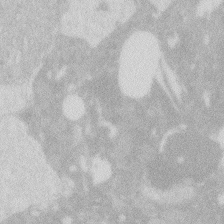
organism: Zebrafish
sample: Macrophage